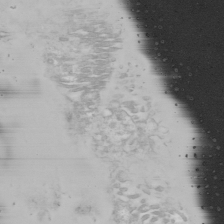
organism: Mouse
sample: Cilia; mouse epididymis